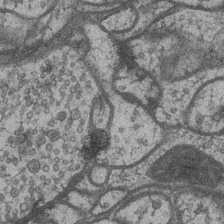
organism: Drosophila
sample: Optic medulla